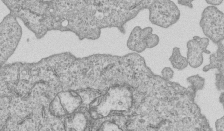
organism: Human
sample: MDA-MB-231 cells